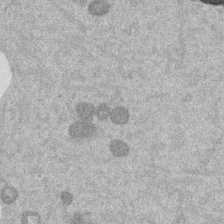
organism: Mouse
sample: Dividing mouse embryo 1 cell stage